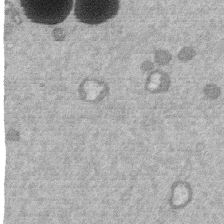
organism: Mouse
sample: Dividing mouse embryo 1 cell stage